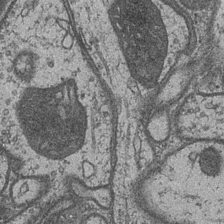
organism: Drosophila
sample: Optic medulla